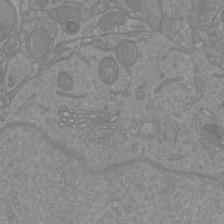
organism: Mouse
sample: Cortical neurons